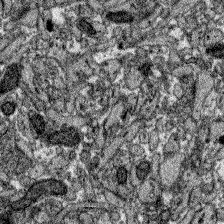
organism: Zebrafish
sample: Larval olfactory bulb